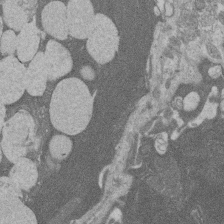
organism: Rat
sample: Salivary granule